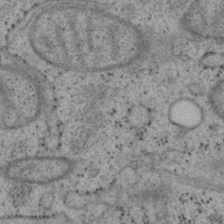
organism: Human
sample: HeLa cells